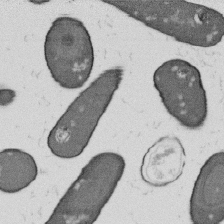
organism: B. subtilis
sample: Bacterial spore